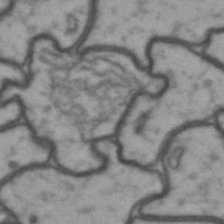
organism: Drosophila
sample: Brain